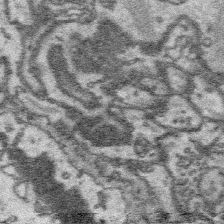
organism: Platynereis dumerilii